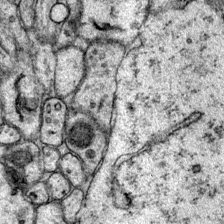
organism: Mouse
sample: Primary visual cortex